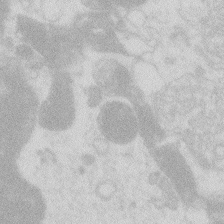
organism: Zebrafish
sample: Macrophage